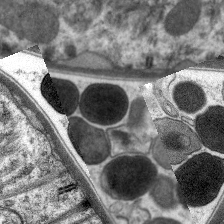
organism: C. elegans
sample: Pharynx